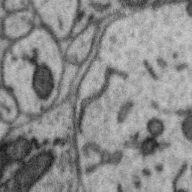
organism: Zebra finch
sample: Brain